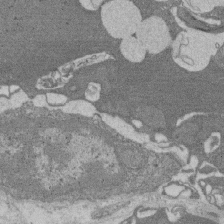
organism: Rat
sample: Salivary granule